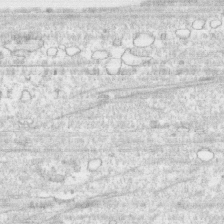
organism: Human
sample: CRL-1474